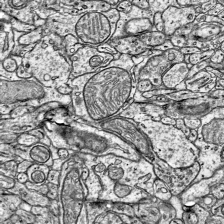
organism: Mouse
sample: Visual Cortex